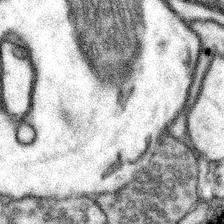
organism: Mouse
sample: Somatosensory cortex neuropil